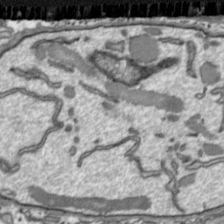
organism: Toxoplasma gondii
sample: Parasites in a vacuole inside a host cell